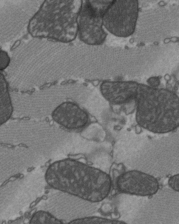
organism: C57BL Mouse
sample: Heart